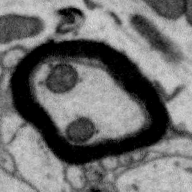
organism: Zebra finch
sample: Brain